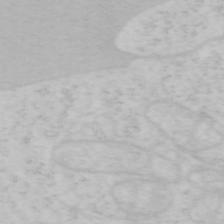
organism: Mouse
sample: OT-I killer T cells with ID8 ovarian cancer cells